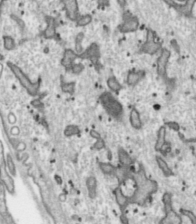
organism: Toxoplasma gondii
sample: Parasites in a vacuole inside a host cell